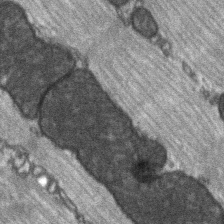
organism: C57BL Mouse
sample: Soleus